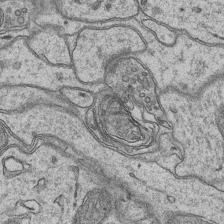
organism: Mouse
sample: CA1 Hippocampus